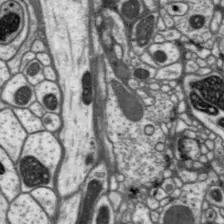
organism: Drosophila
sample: Protocerebral bridge